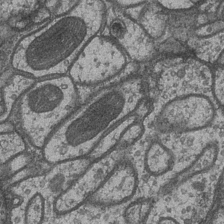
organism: Drosophila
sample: Optic medulla